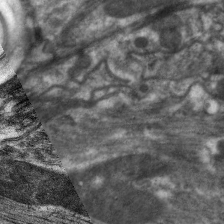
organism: C. elegans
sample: Pharynx